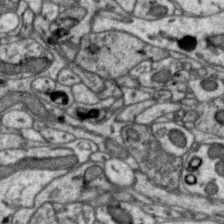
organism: Zebra finch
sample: Brain